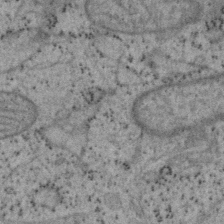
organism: Human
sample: HeLa cells